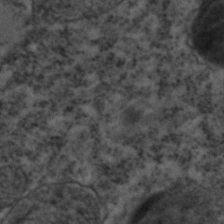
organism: C. elegans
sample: C. elegans embryo